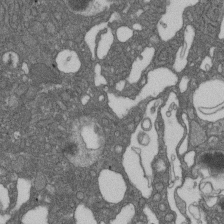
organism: Drosophila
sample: Nephrocyte